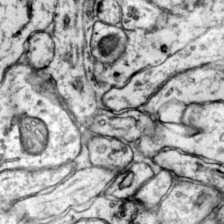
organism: Mouse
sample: Primary visual cortex